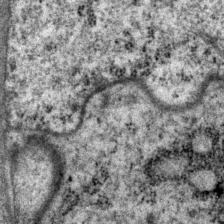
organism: P. pacificus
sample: Pharynx